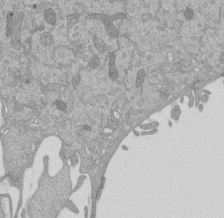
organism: Mouse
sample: ED-1 cell nuclei; centrioles